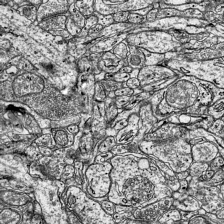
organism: Mouse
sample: Visual Cortex